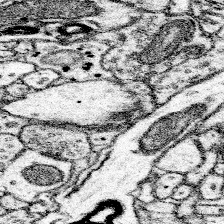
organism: Mouse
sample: Somatosensory cortex neuropil